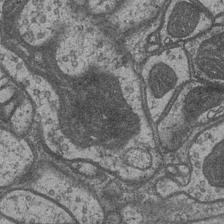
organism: Drosophila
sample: Optic medulla